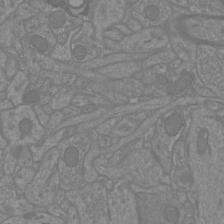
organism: Mouse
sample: Cortical neurons